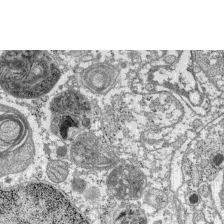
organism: C57BL Mouse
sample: Pancreatic islet